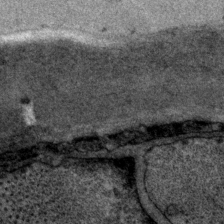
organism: P. pacificus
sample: Pharynx